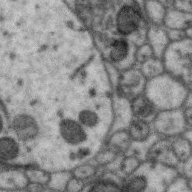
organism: Zebra finch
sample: Brain